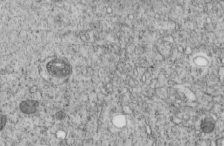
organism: C. elegans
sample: C. elegans embryo early stage